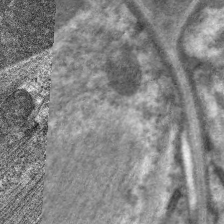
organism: C. elegans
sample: Pharynx